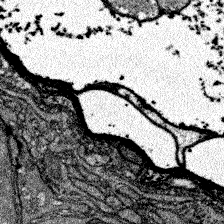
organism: Zebrafish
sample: Larval olfactory bulb